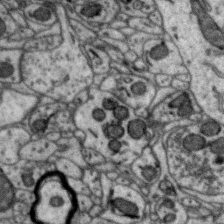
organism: Zebra finch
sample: Brain